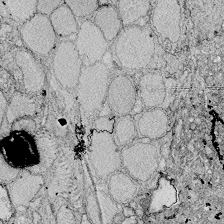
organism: Zebrafish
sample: Whole-Brain